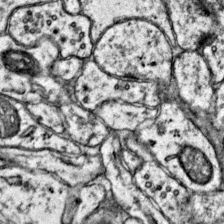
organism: Mouse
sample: Primary visual cortex